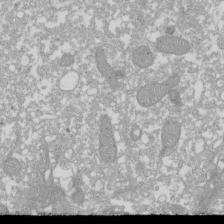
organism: Xenopus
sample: Cilia; centrioles in frog embryo cells